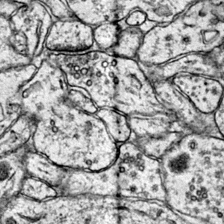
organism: Mouse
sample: Primary visual cortex